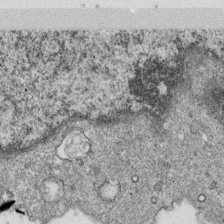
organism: African green monkey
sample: Vero E6 cells infected with SARS-CoV-2